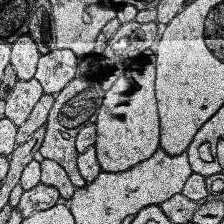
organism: Human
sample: Temporal Lobe